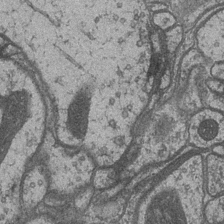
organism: Drosophila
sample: Optic medulla